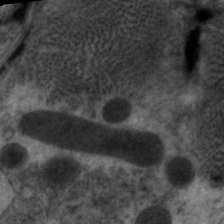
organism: C. elegans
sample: Pharynx